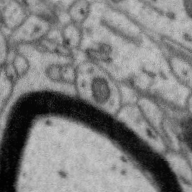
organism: Zebra finch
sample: Brain